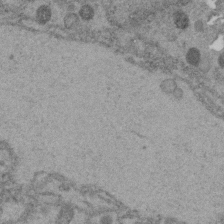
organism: C. elegans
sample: C. elegans embryo early stage